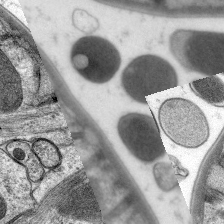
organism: C. elegans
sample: Pharynx